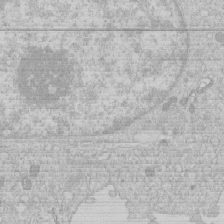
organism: Human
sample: Macrophage cells